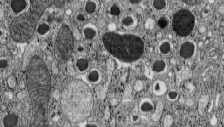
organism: C57BL Mouse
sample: Pancreatic islet